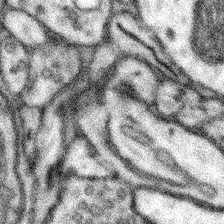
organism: Mouse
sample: Somatosensory cortex neuropil